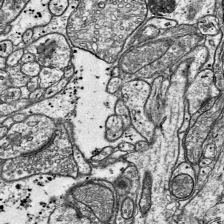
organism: Mouse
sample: Visual Cortex